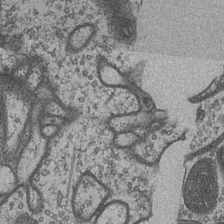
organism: Drosophila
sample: Optic medulla